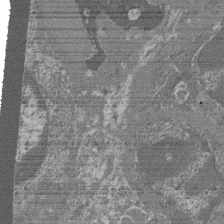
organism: Mouse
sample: Glomerulus